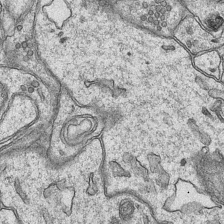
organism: Mouse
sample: CA1 Hippocampus